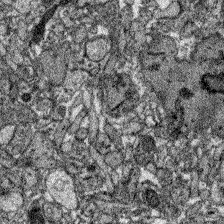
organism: Zebrafish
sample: Larval olfactory bulb